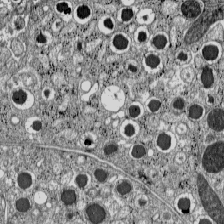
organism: C57BL Mouse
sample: Pancreatic islet